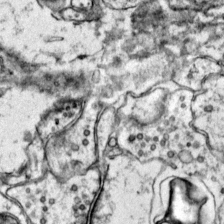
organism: Mouse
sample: Primary visual cortex